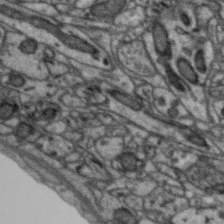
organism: Zebra finch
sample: Brain